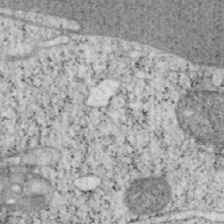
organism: Mouse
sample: OT-I killer T cells with ID8 ovarian cancer cells